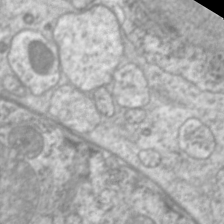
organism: C. elegans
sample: Pharynx